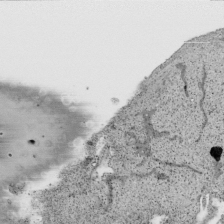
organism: Human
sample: Mitochondria in HCT116 cells